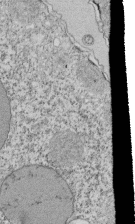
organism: Tetrahymena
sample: Cilia in tetrahymena